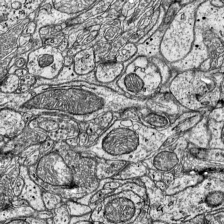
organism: Mouse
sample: Visual Cortex